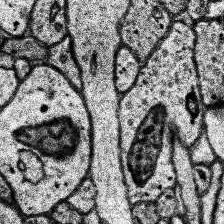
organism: Human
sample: Temporal Lobe